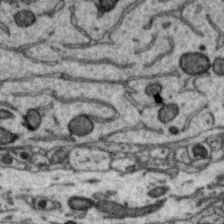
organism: Zebra finch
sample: Brain